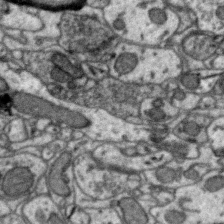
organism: Zebra finch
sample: Brain